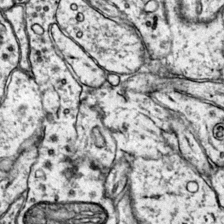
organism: Mouse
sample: Primary visual cortex